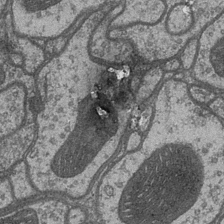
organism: Drosophila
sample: Optic medulla